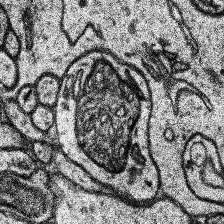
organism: Human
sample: Temporal Lobe